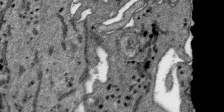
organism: Human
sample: Lung epithelial cells, uninfected (mock) control